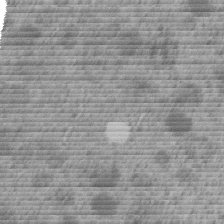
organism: C. elegans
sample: C. elegans embryo early stage